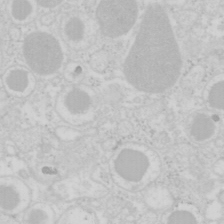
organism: Mouse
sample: Pancreas